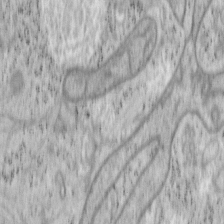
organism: Human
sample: HeLa cells